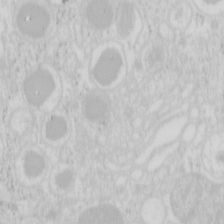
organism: Mouse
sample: Pancreas